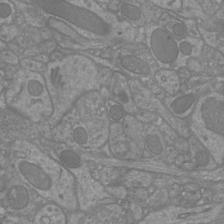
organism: Mouse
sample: Cortical neurons